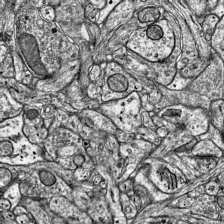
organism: Mouse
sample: Visual Cortex